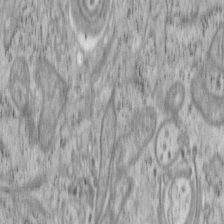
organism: Human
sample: HeLa cells